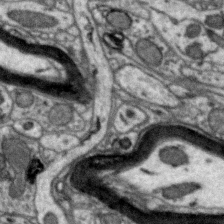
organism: Zebra finch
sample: Brain